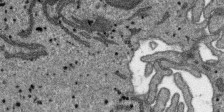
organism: Human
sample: Lung epithelial cells, uninfected (mock) control